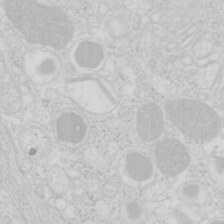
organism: Mouse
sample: Pancreas